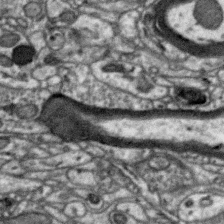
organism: Zebra finch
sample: Brain